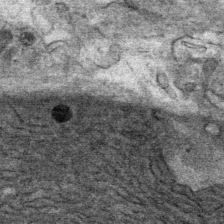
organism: Mouse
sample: Mouse Salivary gland